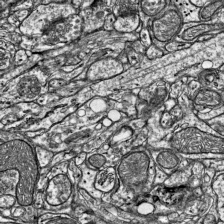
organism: Mouse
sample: Visual Cortex